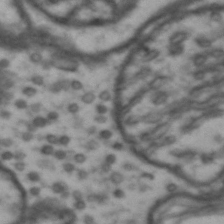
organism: Drosophila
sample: Brain